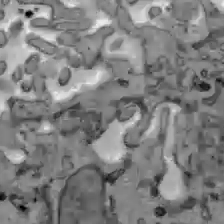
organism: C57BL Mouse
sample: Liver